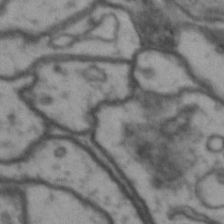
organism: Drosophila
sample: Brain